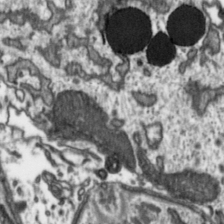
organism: Toxoplasma gondii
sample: Parasites in a vacuole inside a host cell